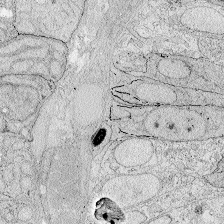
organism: Zebrafish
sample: Whole-Brain